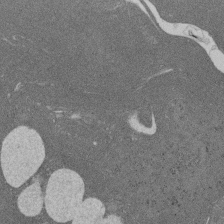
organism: Rat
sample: Salivary granule